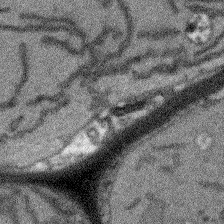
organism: Arabidopsis thaliana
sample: Root tip